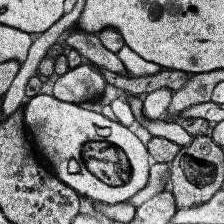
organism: Human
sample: Temporal Lobe